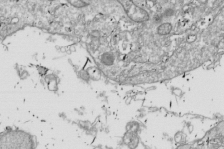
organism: Drosophila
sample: Cell division; meiosis; drosophila spermatocytes